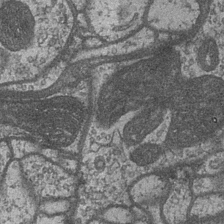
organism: Drosophila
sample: Optic medulla